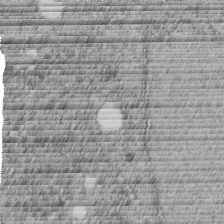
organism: C. elegans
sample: C. elegans embryo early stage